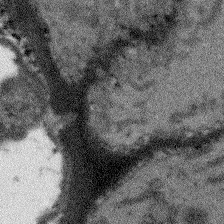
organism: Arabidopsis thaliana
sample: Root tip